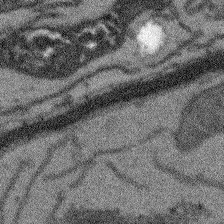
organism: Arabidopsis thaliana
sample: Root tip